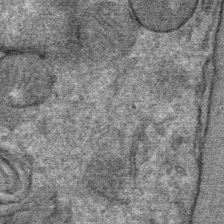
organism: Mouse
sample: Mouse Salivary gland